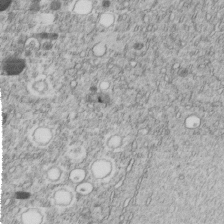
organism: C. elegans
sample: C. elegans embryo early stage